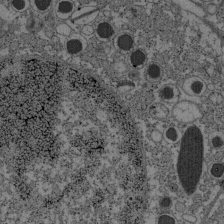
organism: C57BL Mouse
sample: Pancreatic islet